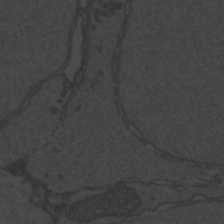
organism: Zebrafish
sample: Macrophage infected with Toxoplasma gondii